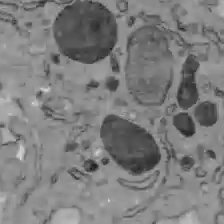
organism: C57BL Mouse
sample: Liver